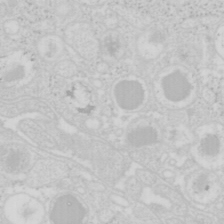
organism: Mouse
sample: Pancreas